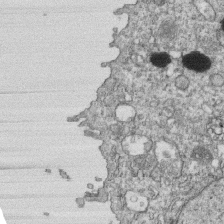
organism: Human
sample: HeLa cell HIV synapse